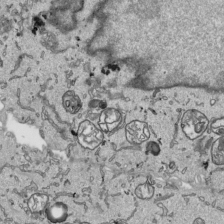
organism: Human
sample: Mitochondria in HCT116 cells